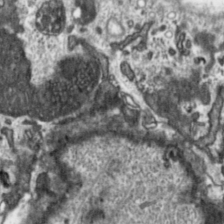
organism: Toxoplasma gondii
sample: Parasites in a vacuole inside a host cell